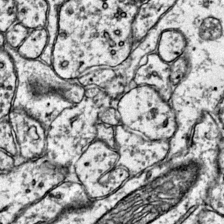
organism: Mouse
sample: Primary visual cortex